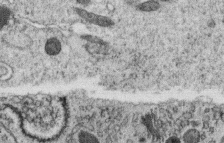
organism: C. elegans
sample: C. elegans oocyte; sperm cells